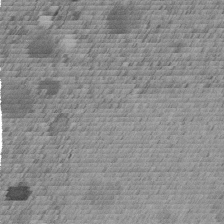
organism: C. elegans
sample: C. elegans embryo early stage